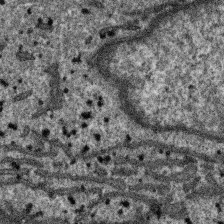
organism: Human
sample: Lung epithelial cells infected with SARS-CoV-2